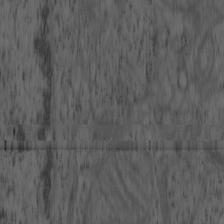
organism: Human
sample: HeLa cells